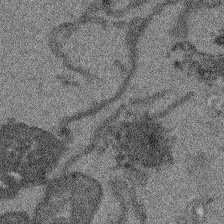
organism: Arabidopsis thaliana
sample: Root tip